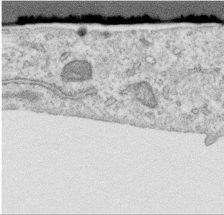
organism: Human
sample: Centriole in RPE cells